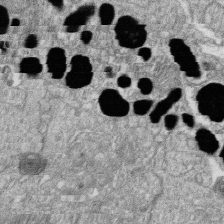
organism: Zebrafish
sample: Cilia; retinal pigment epithelium